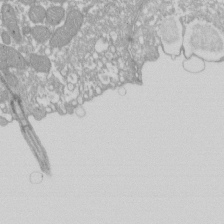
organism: Xenopus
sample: Cilia; centrioles in frog embryo cells